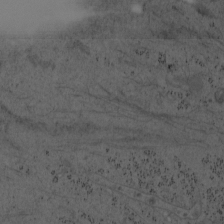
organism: Mouse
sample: OT-I killer T cells with ID8 ovarian cancer cells